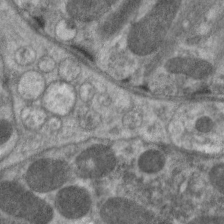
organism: C. elegans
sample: Pharynx